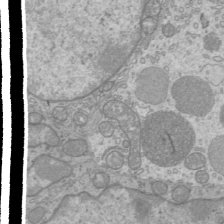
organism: Mouse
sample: Cilia; mouse epididymis